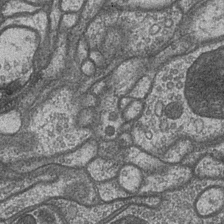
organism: Drosophila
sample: Optic medulla